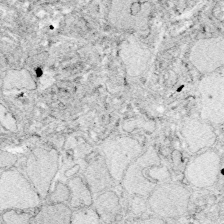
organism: Zebrafish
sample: Whole-Brain